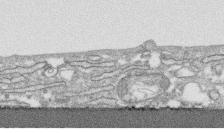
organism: Human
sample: CRL-1474